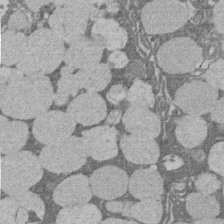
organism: Rat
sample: Salivary granule